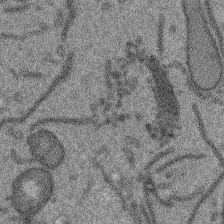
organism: Arabidopsis thaliana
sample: Root tip